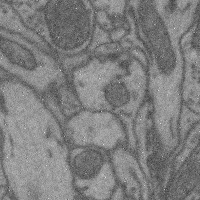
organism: Mouse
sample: Cerebral cortex